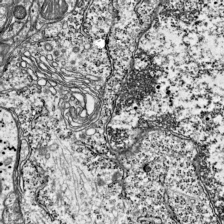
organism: Mouse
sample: Visual Cortex